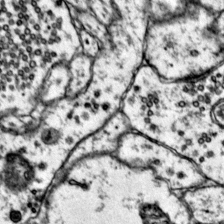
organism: Mouse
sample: Primary visual cortex